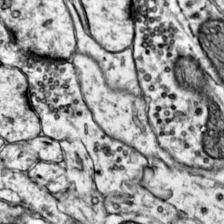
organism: Mouse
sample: Primary visual cortex